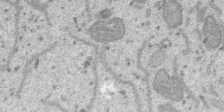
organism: Human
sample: Lung epithelial cells infected with SARS-CoV-2